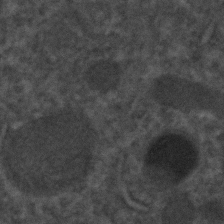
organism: C. elegans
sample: C. elegans embryo